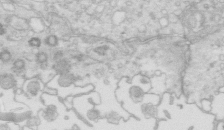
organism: Mouse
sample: Multiciliated cells